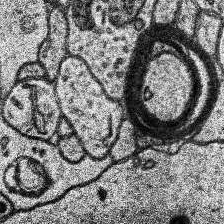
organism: Human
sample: Temporal Lobe